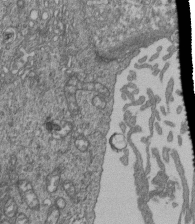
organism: Human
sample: Retinal organoid Rod and Cone cells